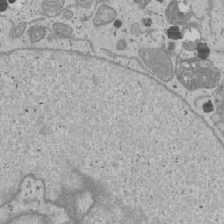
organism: Human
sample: Mitochondria in U2OS cells